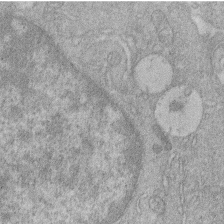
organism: Human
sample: Macrophage cells